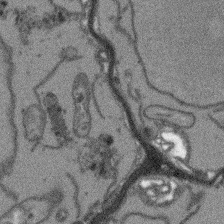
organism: Arabidopsis thaliana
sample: Root tip